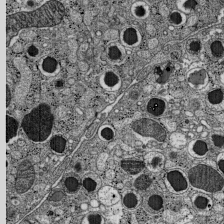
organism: C57BL Mouse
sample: Pancreatic islet